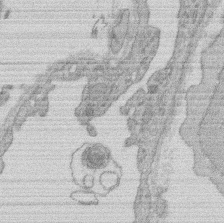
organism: Rat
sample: Salivary granule